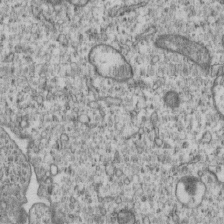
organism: Human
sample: MDA-MB-231 cells